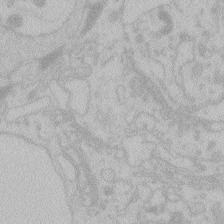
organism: Zebrafish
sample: Macrophage infected with Toxoplasma gondii